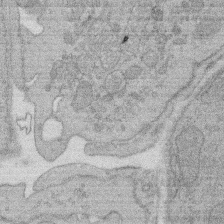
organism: Rat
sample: Salivary granule